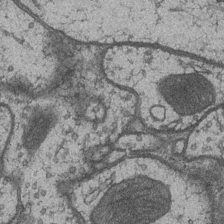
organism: Drosophila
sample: Optic medulla